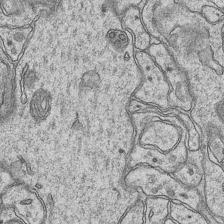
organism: Mouse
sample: CA1 Hippocampus